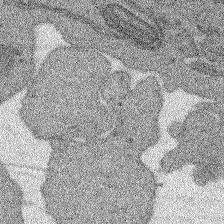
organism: Human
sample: HeLa cells